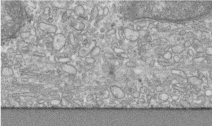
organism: Human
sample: Centriole in RPE cells